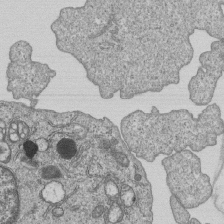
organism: Human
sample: MDA-MB-231 cells